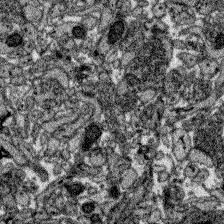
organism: Zebrafish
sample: Larval olfactory bulb